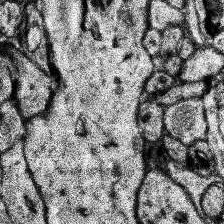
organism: Human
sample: Temporal Lobe